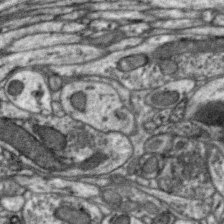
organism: Zebra finch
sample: Brain